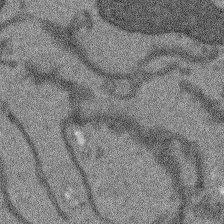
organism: Arabidopsis thaliana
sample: Root tip